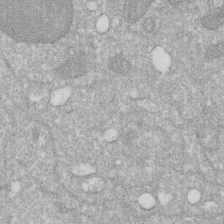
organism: Human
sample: HIV infected U937 cells